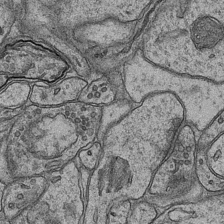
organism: Mouse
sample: CA1 Hippocampus